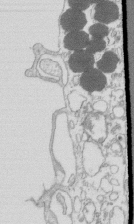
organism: Mouse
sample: Macrophages